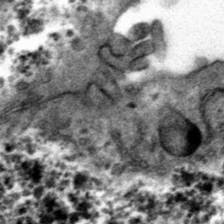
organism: Mouse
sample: Mouse hepatocytes